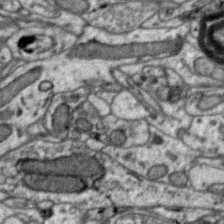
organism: Zebra finch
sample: Brain